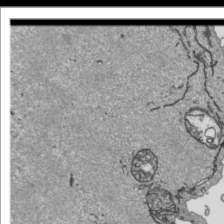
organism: Human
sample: Mitochondria in HCT116 cells